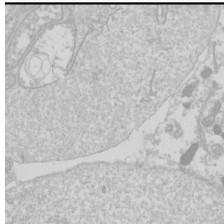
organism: Drosophila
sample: Cell division; meiosis; drosophila spermatocytes